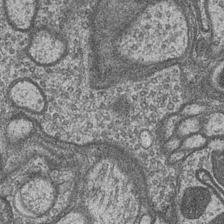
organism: Drosophila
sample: Optic medulla